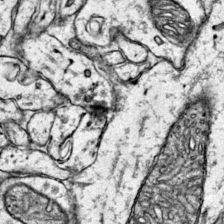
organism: Mouse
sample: Primary visual cortex